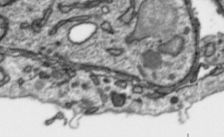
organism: Toxoplasma gondii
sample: Parasites in a vacuole inside a host cell